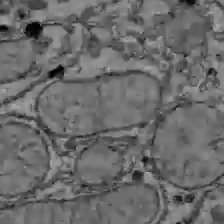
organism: C57BL Mouse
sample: Liver